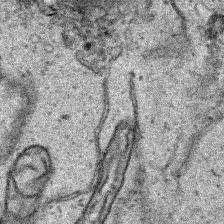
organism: Human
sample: Mitochondria in HCT116 cells